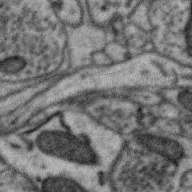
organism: Zebra finch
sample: Brain